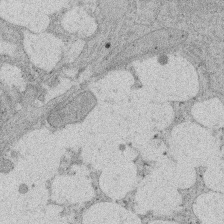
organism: Rat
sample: Salivary granule